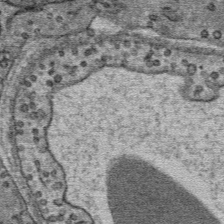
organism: Mouse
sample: Mouse Salivary gland